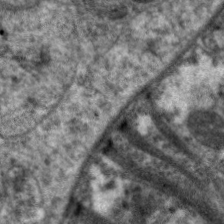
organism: C. elegans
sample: Pharynx